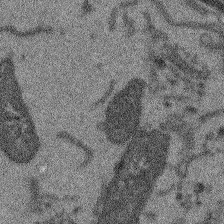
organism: Arabidopsis thaliana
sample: Root tip